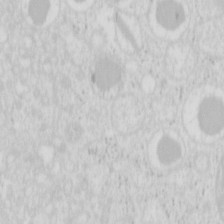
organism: Mouse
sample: Pancreas